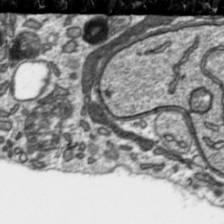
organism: Toxoplasma gondii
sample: Parasites in a vacuole inside a host cell